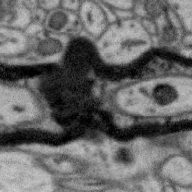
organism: Zebra finch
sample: Brain